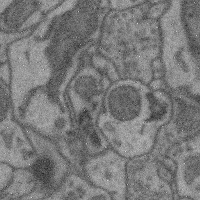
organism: Mouse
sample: Cerebral cortex